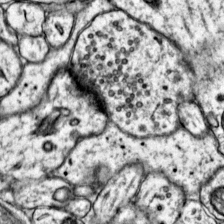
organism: Mouse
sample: Primary visual cortex